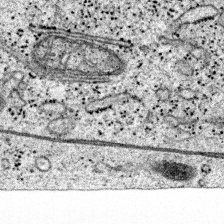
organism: Human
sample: HeLa cells